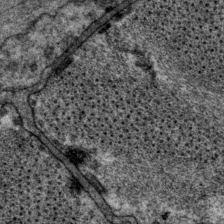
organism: P. pacificus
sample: Pharynx